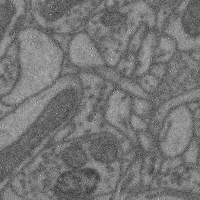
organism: Mouse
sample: Cerebral cortex